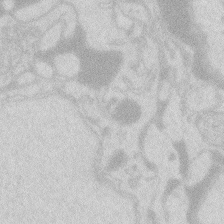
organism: Zebrafish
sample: Macrophage